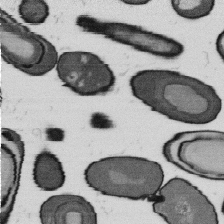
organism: B. subtilis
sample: Bacterial spore